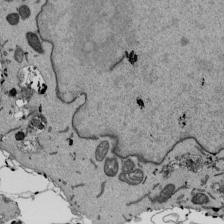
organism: Mouse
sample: ED-1 cell nuclei; centrioles